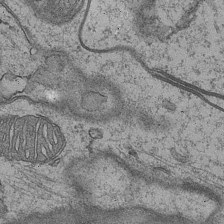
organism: Mouse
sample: CA1 Hippocampus